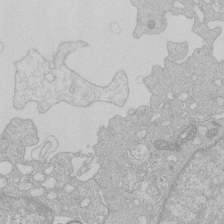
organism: Human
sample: Macrophage cells